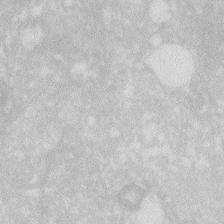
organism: Zebrafish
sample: Macrophage